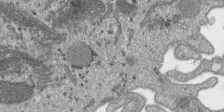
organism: Human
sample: Lung epithelial cells infected with SARS-CoV-2